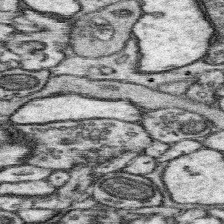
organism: Mouse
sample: Somatosensory cortex neuropil